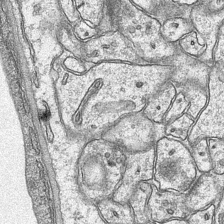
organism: Mouse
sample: CA1 Hippocampus